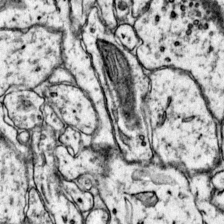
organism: Mouse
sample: Primary visual cortex